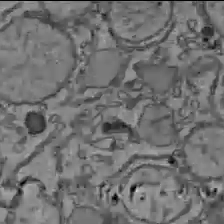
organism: C57BL Mouse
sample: Liver